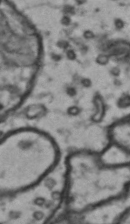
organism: Drosophila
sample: Brain